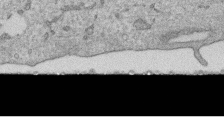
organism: Human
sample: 1205lu cells